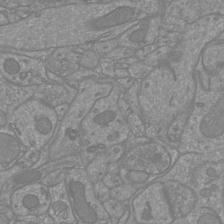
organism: Mouse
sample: Cortical neurons